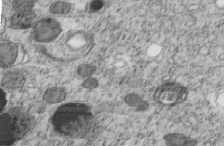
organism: C. elegans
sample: C. elegans embryo early stage